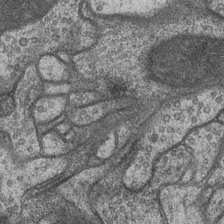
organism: Drosophila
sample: Optic medulla